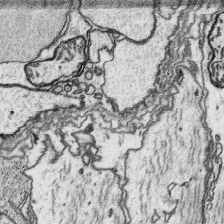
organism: Platynereis dumerilii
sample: Parapodia